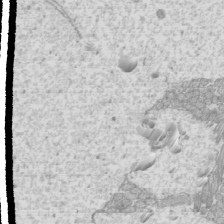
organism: Mouse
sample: Cilia; mouse epididymis